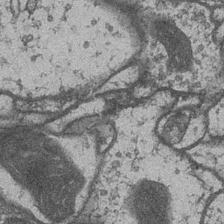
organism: Drosophila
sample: Optic medulla